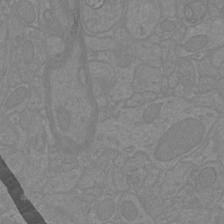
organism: Mouse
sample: Cortical neurons